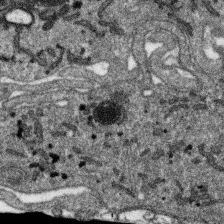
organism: Human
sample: Lung epithelial cells infected with SARS-CoV-2